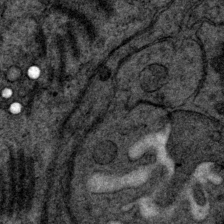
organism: P. pacificus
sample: Pharynx